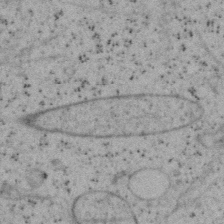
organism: Human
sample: HeLa cells